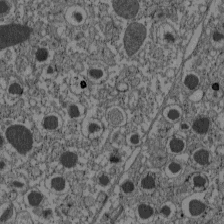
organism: C57BL Mouse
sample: Pancreatic islet